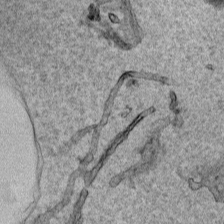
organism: Human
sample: Mitochondria in HCT116 cells